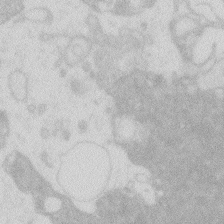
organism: Zebrafish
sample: Macrophage